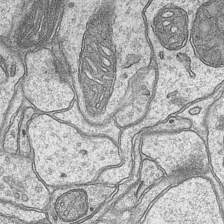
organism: Mouse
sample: CA1 Hippocampus